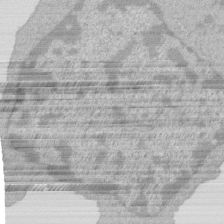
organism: Mouse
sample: Activated Pmel transgenic CD8+ T Cells